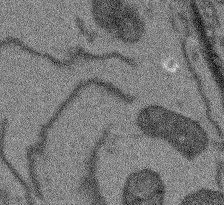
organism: Arabidopsis thaliana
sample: Root tip